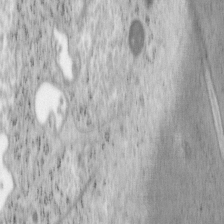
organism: Human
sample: HeLa cells